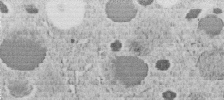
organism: C. elegans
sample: C. elegans embryo early stage